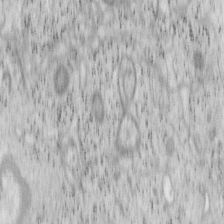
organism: Human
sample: HeLa cells